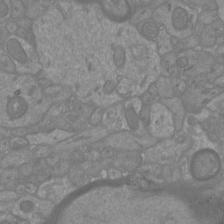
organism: Mouse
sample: Cortical neurons